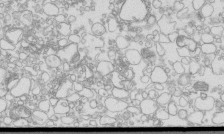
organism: Mouse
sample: Macrophages